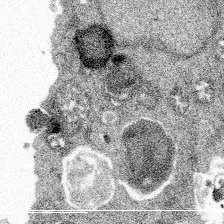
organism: Spongilla lacustris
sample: Multiple